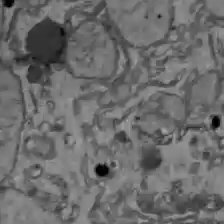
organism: C57BL Mouse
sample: Liver